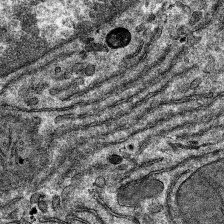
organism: Mouse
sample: Mouse hepatocytes